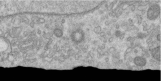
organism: Human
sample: Centriole in RPE cells